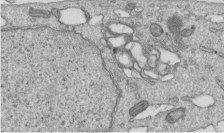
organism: Human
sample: Centriole in RPE cells